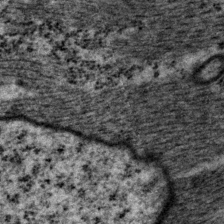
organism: P. pacificus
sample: Pharynx